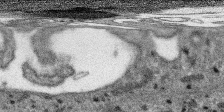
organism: Human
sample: Lung epithelial cells infected with SARS-CoV-2